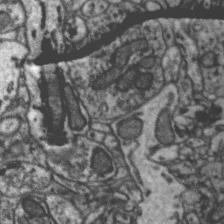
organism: Zebra finch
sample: Brain